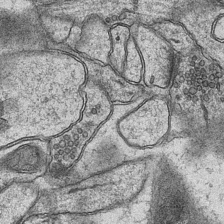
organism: Mouse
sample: CA1 Hippocampus